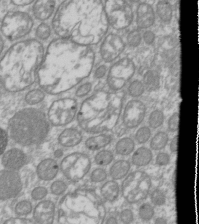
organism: Drosophila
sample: Cell division; meiosis; drosophila spermatocytes